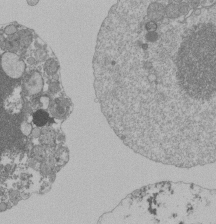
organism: Mouse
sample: Activated Pmel transgenic CD8+ T Cells